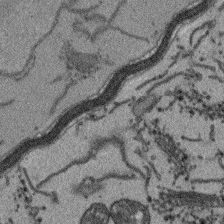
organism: Arabidopsis thaliana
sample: Root tip